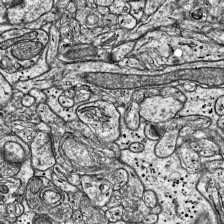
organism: Mouse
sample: Visual Cortex